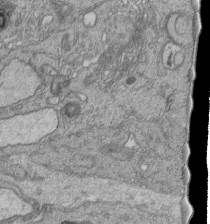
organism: Human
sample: Retinal organoid Rod and Cone cells